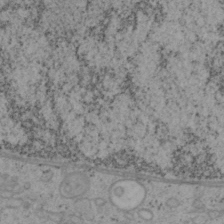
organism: Human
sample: HeLa cells